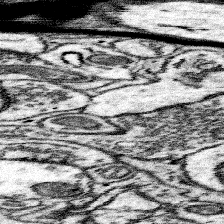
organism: Mouse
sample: Somatosensory cortex neuropil